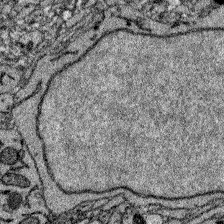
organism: Zebrafish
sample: Larval olfactory bulb